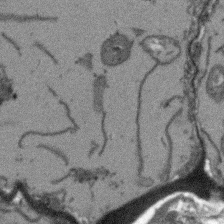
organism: Arabidopsis thaliana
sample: Root tip